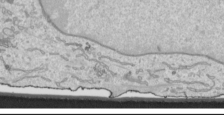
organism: Human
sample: Mitochondria in HCT116 cells